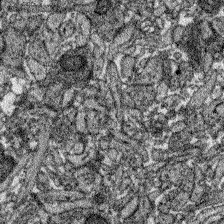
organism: Zebrafish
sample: Larval olfactory bulb